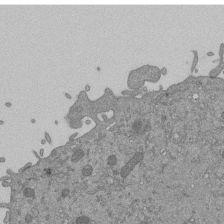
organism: Mouse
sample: ED-1 cell nuclei; centrioles